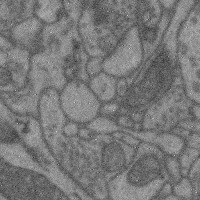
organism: Mouse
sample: Cerebral cortex